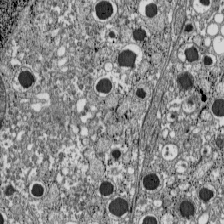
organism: C57BL Mouse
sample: Pancreatic islet